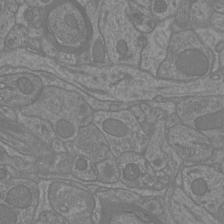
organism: Mouse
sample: Cortical neurons